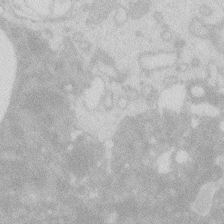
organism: Zebrafish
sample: Macrophage